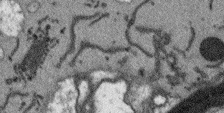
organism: Arabidopsis thaliana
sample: Root tip